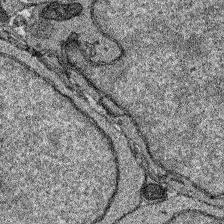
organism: Zebrafish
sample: Larval olfactory bulb